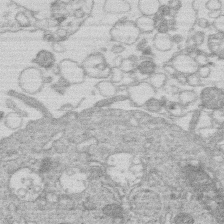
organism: Human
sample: Macrophage cells